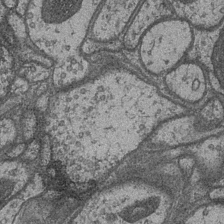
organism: Drosophila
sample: Optic medulla